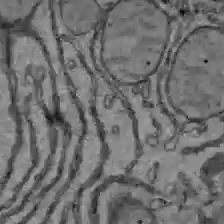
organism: C57BL Mouse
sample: Liver